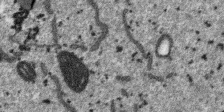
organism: Human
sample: Lung epithelial cells infected with SARS-CoV-2